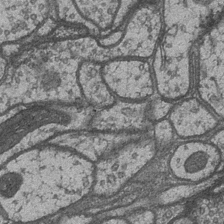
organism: Drosophila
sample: Optic medulla